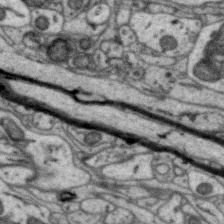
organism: Zebra finch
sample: Brain